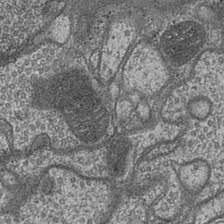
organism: Drosophila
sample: Optic medulla